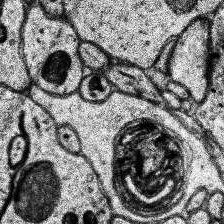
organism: Human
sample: Temporal Lobe